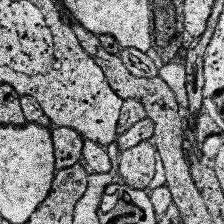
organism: Human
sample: Temporal Lobe